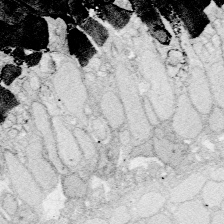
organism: Zebrafish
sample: Whole-Brain